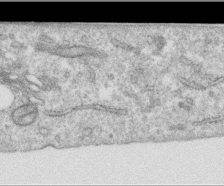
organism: Human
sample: Centriole in RPE cells